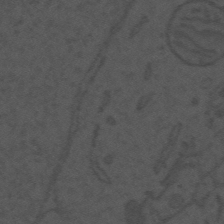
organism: Mouse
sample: Suprachiasmatic nucleus